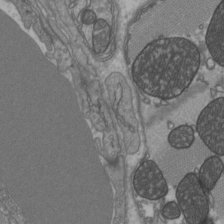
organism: C57BL Mouse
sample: Heart